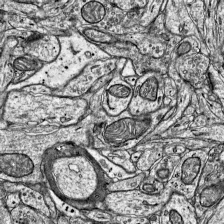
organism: Mouse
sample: Visual Cortex